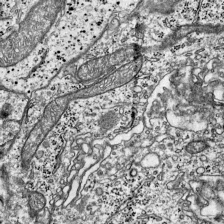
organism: Mouse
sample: Visual Cortex